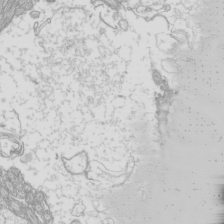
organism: Mouse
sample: Cilia; mouse epididymis